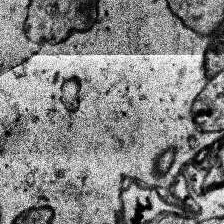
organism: Human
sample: Temporal Lobe